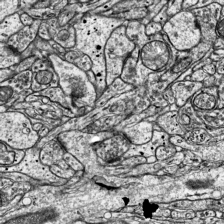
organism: Mouse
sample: Visual Cortex